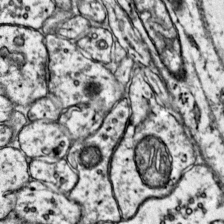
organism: Mouse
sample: Primary visual cortex